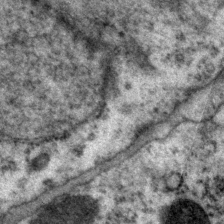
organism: P. pacificus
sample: Pharynx